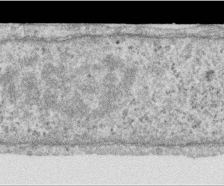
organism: Human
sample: Centriole in RPE cells